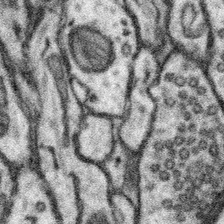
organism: Mouse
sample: Somatosensory cortex neuropil